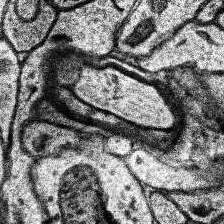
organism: Human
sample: Temporal Lobe